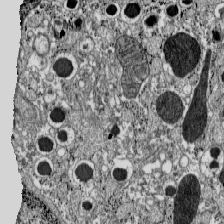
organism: C57BL Mouse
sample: Pancreatic islet